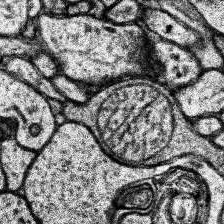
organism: Human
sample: Temporal Lobe